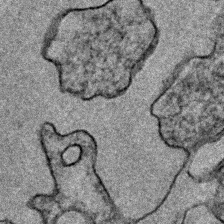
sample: Trachea